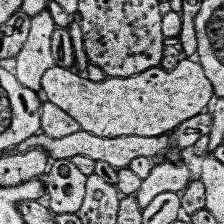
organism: Human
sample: Temporal Lobe